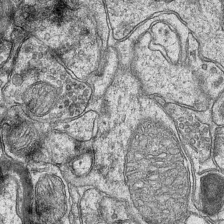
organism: Mouse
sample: CA1 Hippocampus